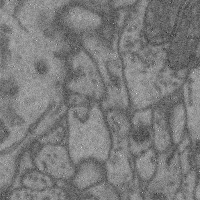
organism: Mouse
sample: Cerebral cortex